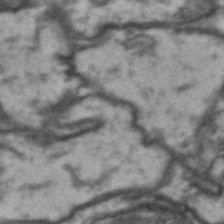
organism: Drosophila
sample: Brain